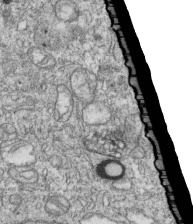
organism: Human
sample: HeLa cell HIV synapse